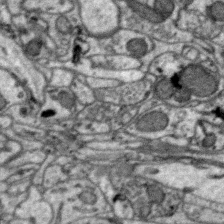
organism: Zebra finch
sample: Brain